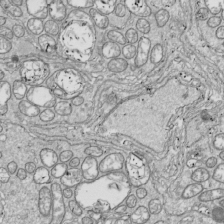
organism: Drosophila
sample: Cell division; meiosis; drosophila spermatocytes